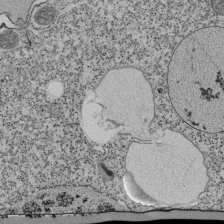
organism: Tetrahymena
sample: Cilia in tetrahymena